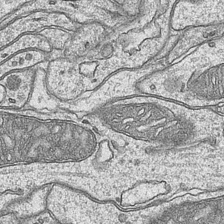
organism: Mouse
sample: CA1 Hippocampus